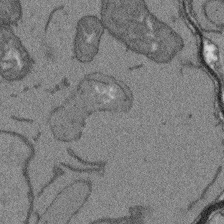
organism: Arabidopsis thaliana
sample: Root tip